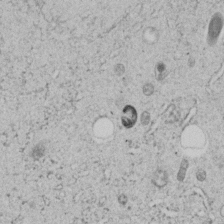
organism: C. elegans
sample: C. elegans embryo early stage